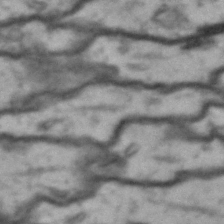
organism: Drosophila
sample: Brain